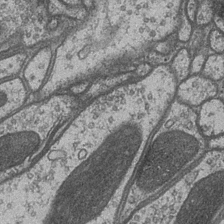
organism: Drosophila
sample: Optic medulla